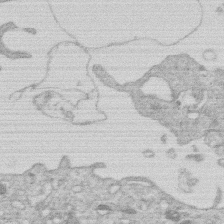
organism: Human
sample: Macrophage cells